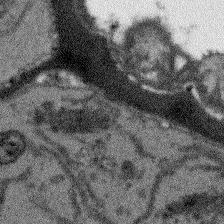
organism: Arabidopsis thaliana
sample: Root tip